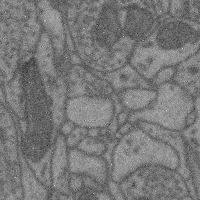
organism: Mouse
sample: Cerebral cortex